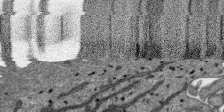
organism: Human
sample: Lung epithelial cells, uninfected (mock) control